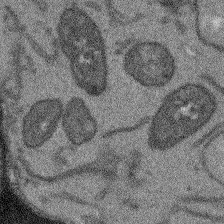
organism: Arabidopsis thaliana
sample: Root tip